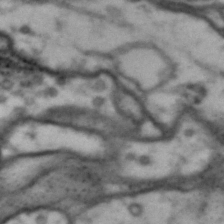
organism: Drosophila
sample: Brain